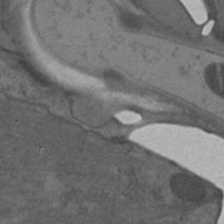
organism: C. elegans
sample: Pharynx